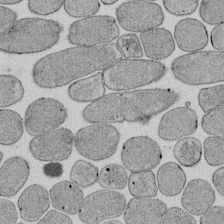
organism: E. coli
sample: Bacterial nucleoid